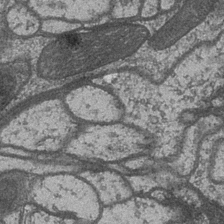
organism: Drosophila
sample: Optic medulla